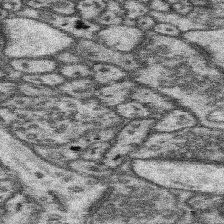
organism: Mouse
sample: Somatosensory cortex neuropil